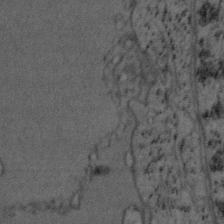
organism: Human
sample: HeLa cells